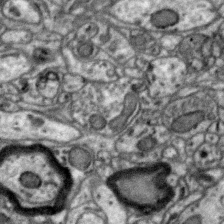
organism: Zebra finch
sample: Brain